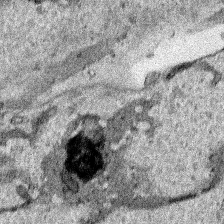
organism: Human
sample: Mitochondria in HCT116 cells